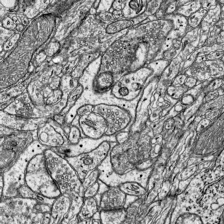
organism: Mouse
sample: Visual Cortex